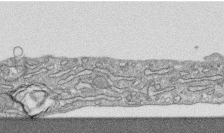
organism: Human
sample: CRL-1474